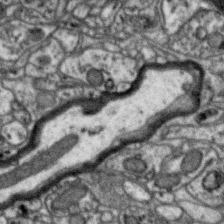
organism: Zebra finch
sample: Brain